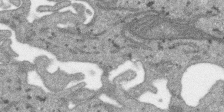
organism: Human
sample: Lung epithelial cells infected with SARS-CoV-2